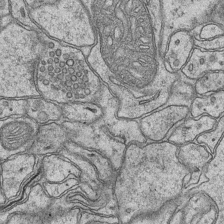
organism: Mouse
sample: CA1 Hippocampus